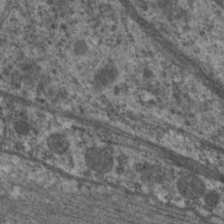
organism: C. elegans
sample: Pharynx